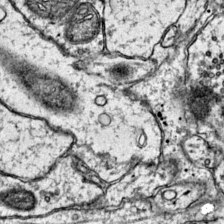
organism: Mouse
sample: Primary visual cortex